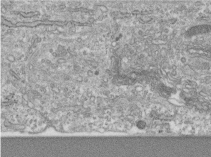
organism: Human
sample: Centriole in RPE cells